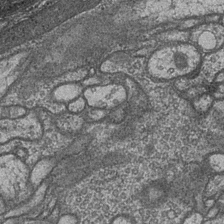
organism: Drosophila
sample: Optic medulla